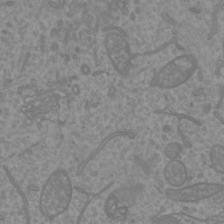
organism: Mouse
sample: Cortical neurons